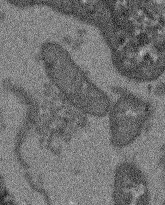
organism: Arabidopsis thaliana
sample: Root tip